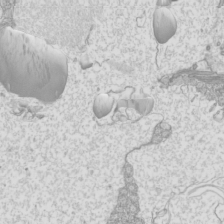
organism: Mouse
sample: Cilia; mouse epididymis